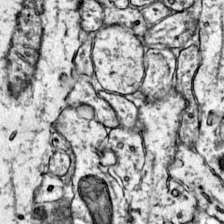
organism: Mouse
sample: Primary visual cortex